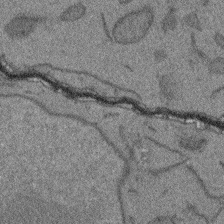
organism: Arabidopsis thaliana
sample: Root tip